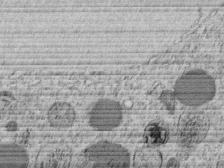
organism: C. elegans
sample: C. elegans embryo early stage